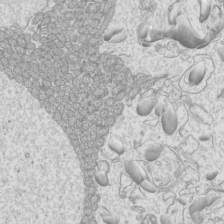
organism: Mouse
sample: Cilia; mouse epididymis